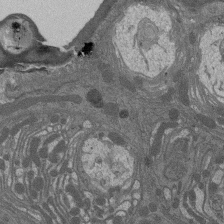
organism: Drosophila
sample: Antenna